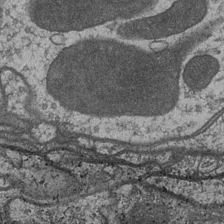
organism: Drosophila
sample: Optic medulla